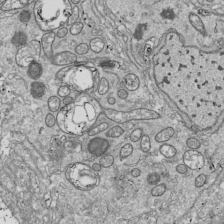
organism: Drosophila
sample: Cell division; meiosis; drosophila spermatocytes